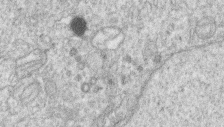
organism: Human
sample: HeLa cell HIV synapse